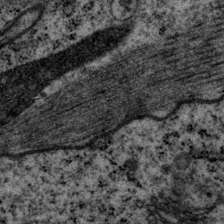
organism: P. pacificus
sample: Pharynx